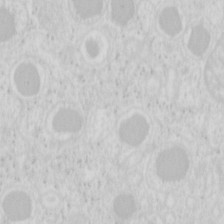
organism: Mouse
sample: Pancreas